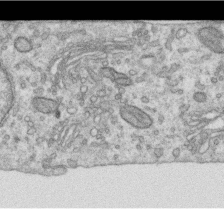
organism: Human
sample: Centriole in RPE cells